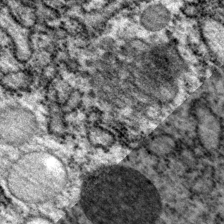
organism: P. pacificus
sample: Pharynx